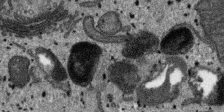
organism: Human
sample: Lung epithelial cells, uninfected (mock) control